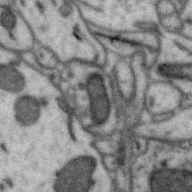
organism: Zebra finch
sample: Brain